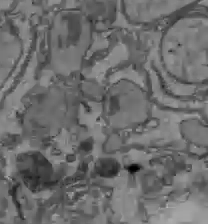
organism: C57BL Mouse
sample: Liver